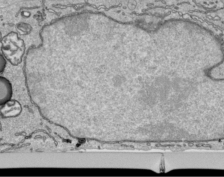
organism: Human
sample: Mitochondria in HCT116 cells